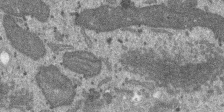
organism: Human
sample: Lung epithelial cells infected with SARS-CoV-2